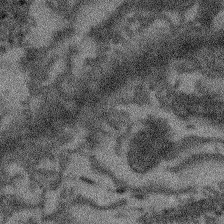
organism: Arabidopsis thaliana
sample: Root tip